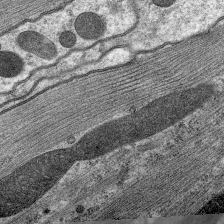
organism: C. elegans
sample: Pharynx